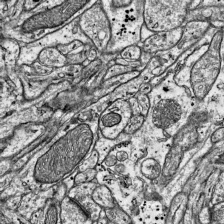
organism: Mouse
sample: Visual Cortex